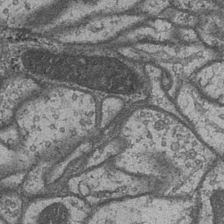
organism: Drosophila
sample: Optic medulla